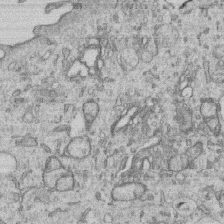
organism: Human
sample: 1205lu cells